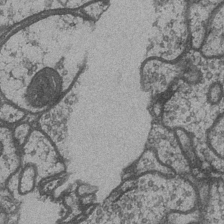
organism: Drosophila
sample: Optic medulla